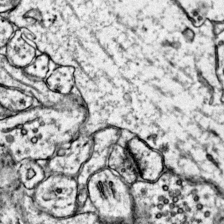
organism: Mouse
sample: Primary visual cortex